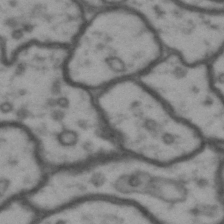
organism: Drosophila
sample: Brain